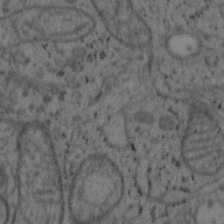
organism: Human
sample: HeLa cells